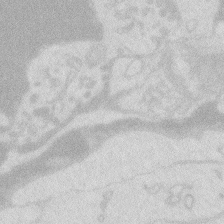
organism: Zebrafish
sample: Macrophage